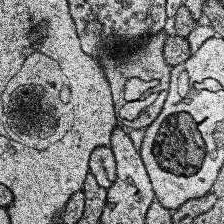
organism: Human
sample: Temporal Lobe